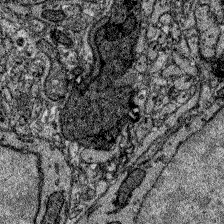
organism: Zebrafish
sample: Larval olfactory bulb